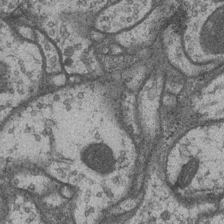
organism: Drosophila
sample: Optic medulla